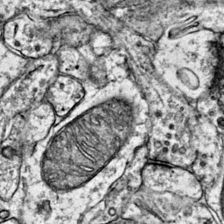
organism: Mouse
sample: Primary visual cortex